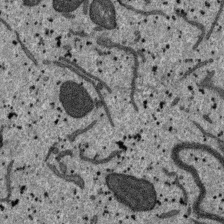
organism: Human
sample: Lung epithelial cells, uninfected (mock) control